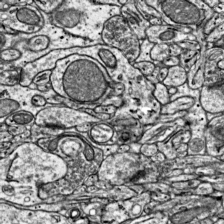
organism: Mouse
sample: Visual Cortex